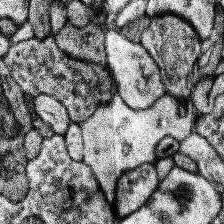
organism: Human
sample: Temporal Lobe